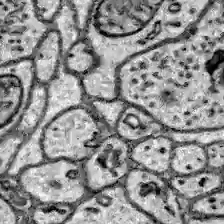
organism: Zebrafish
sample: Brain